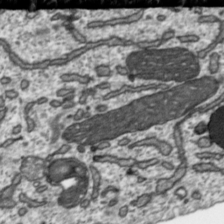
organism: Toxoplasma gondii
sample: Parasites in a vacuole inside a host cell